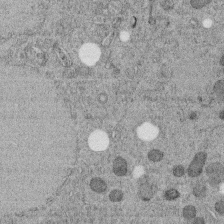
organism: C. elegans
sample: C. elegans embryo early stage